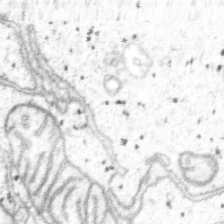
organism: Human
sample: HeLa cells